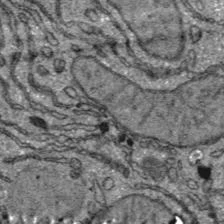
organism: C57BL Mouse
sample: Liver